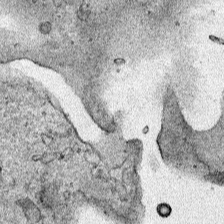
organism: Human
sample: Mitochondria in HCT116 cells